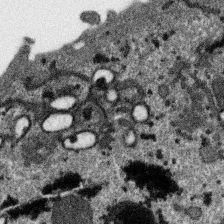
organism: Human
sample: Lung epithelial cells infected with SARS-CoV-2